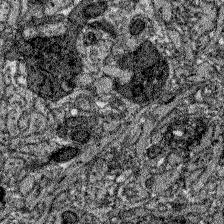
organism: Zebrafish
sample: Larval olfactory bulb